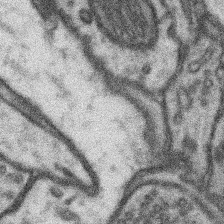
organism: Mouse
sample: Somatosensory cortex neuropil